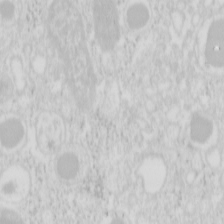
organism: Mouse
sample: Pancreas